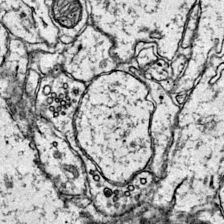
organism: Mouse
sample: Primary visual cortex